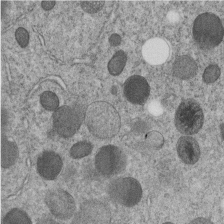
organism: C. elegans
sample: C. elegans embryo early stage